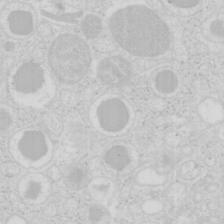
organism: Mouse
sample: Pancreas